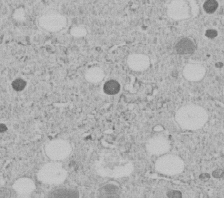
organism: C. elegans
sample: C. elegans embryo early stage